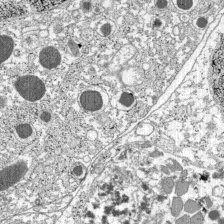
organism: C57BL Mouse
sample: Pancreatic islet